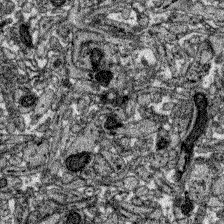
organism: Zebrafish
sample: Larval olfactory bulb